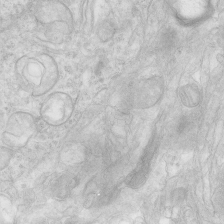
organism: Human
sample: Neocortex